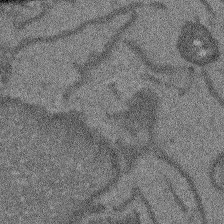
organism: Arabidopsis thaliana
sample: Root tip